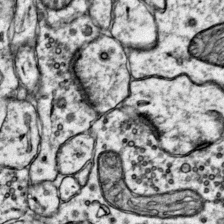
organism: Mouse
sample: Primary visual cortex